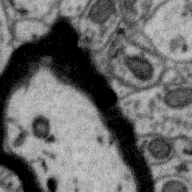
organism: Zebra finch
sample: Brain